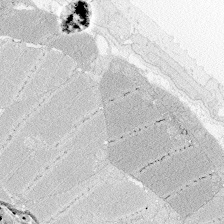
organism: Zebrafish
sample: Whole-Brain